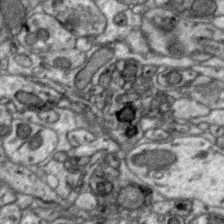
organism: Zebra finch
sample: Brain